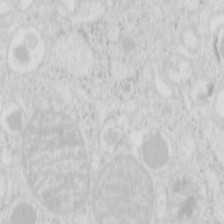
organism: Mouse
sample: Pancreas